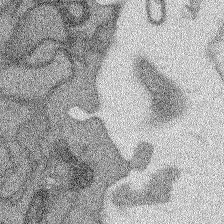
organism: Human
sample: HeLa cells